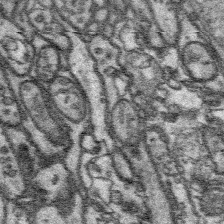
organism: Platynereis dumerilii